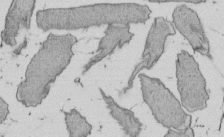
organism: E. coli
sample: Bacterial nucleoid